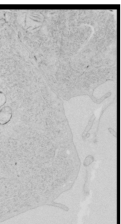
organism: Human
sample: Mitochondria in HCT116 cells